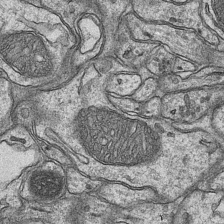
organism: Mouse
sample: CA1 Hippocampus